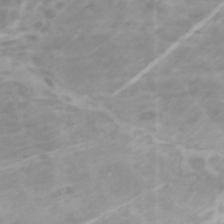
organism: Zebrafish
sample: Zebrafish embryo